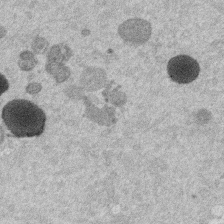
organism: Mouse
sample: Dividing mouse embryo 1 cell stage